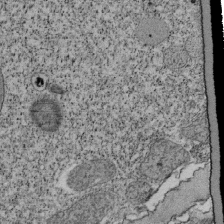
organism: Tetrahymena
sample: Cilia in tetrahymena